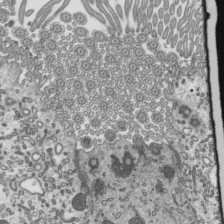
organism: Mouse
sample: Mouse epididymis efferent ductule cilia